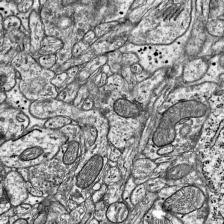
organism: Mouse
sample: Visual Cortex